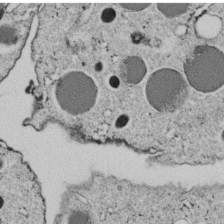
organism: C. elegans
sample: C. elegans embryo early stage